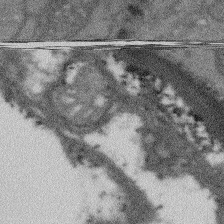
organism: Arabidopsis thaliana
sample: Root tip